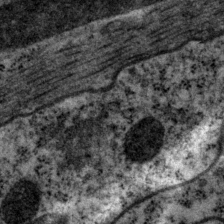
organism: P. pacificus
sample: Pharynx